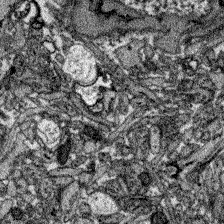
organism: Zebrafish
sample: Larval olfactory bulb